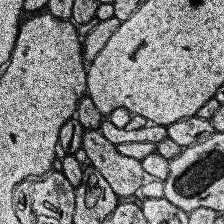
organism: Human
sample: Temporal Lobe